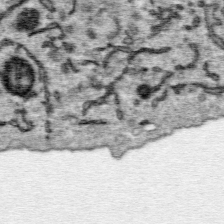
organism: Human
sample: HeLa cells